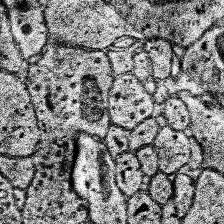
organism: Human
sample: Temporal Lobe